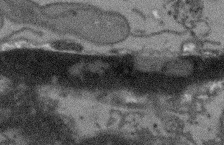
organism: Arabidopsis thaliana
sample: Root tip